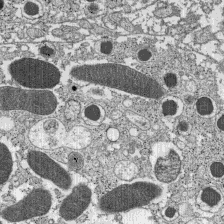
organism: C57BL Mouse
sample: Pancreatic islet